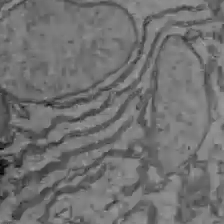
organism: C57BL Mouse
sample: Liver